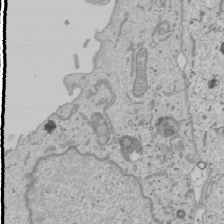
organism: Human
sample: Mitochondria in U2OS cells